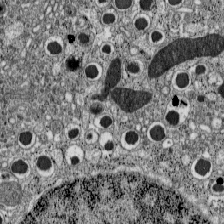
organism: C57BL Mouse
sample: Pancreatic islet